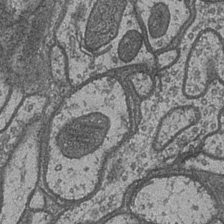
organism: Drosophila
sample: Optic medulla